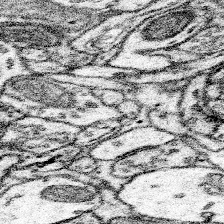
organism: Mouse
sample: Somatosensory cortex neuropil